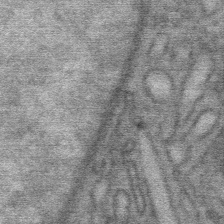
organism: Mouse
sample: Mouse Salivary gland